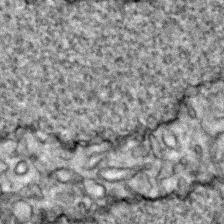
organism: Zebrafish